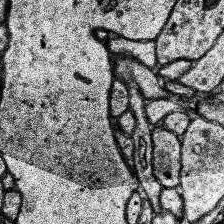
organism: Human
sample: Temporal Lobe